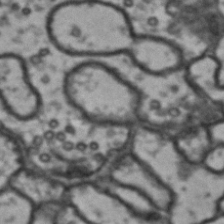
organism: Drosophila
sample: Brain